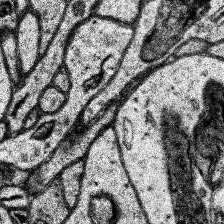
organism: Human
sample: Temporal Lobe